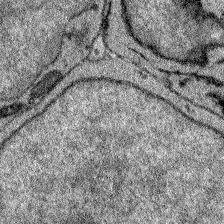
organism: Zebrafish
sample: Larval olfactory bulb